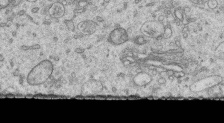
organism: Human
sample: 1205lu cells